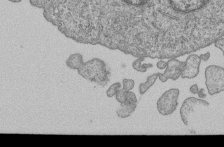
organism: Human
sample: MDA-MB-231 cells